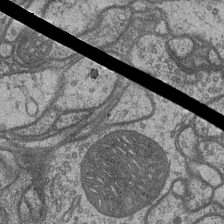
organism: Drosophila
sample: Optic medulla